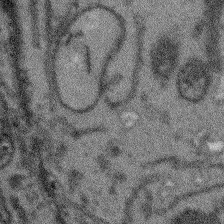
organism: Arabidopsis thaliana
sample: Root tip